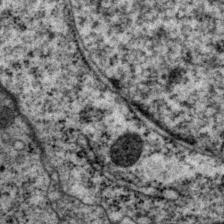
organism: P. pacificus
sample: Pharynx